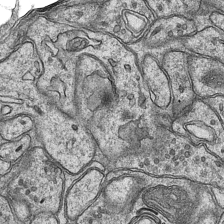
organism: Mouse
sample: CA1 Hippocampus